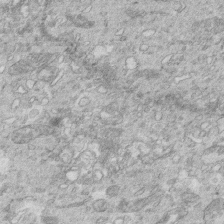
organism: Mouse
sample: Multiciliated cells